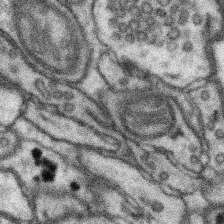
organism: Mouse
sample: Somatosensory cortex neuropil